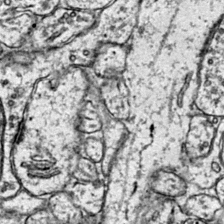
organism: Mouse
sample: Primary visual cortex